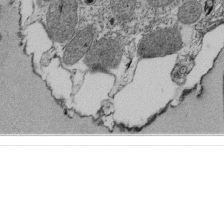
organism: Tetrahymena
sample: Cilia in tetrahymena